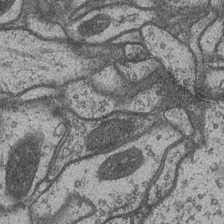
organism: Drosophila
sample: Optic medulla